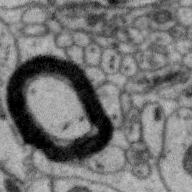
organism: Zebra finch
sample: Brain